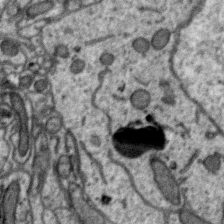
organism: Zebra finch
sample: Brain